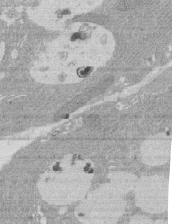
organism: Rat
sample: Salivary granule